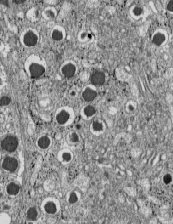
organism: C57BL Mouse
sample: Pancreatic islet